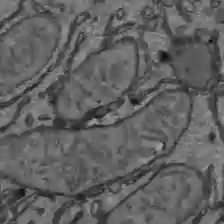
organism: C57BL Mouse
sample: Liver